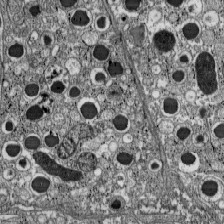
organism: C57BL Mouse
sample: Pancreatic islet